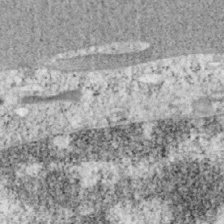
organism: Mouse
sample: OT-I killer T cells with ID8 ovarian cancer cells